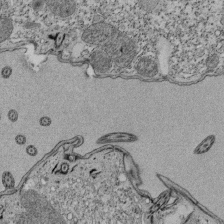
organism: Tetrahymena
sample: Cilia in tetrahymena